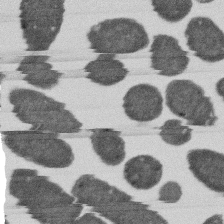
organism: E. coli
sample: Bacterial nucleoid